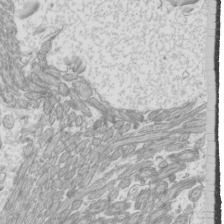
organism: Mouse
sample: Cilia; mouse epididymis